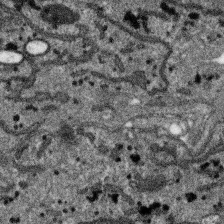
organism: Human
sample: Lung epithelial cells infected with SARS-CoV-2